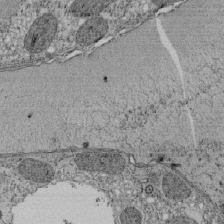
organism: Tetrahymena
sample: Cilia in tetrahymena